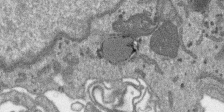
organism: Human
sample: Lung epithelial cells infected with SARS-CoV-2